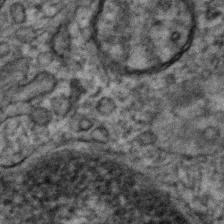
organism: Human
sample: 1205lu cells